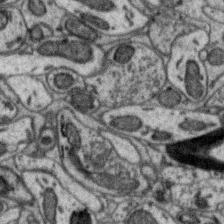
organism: Zebra finch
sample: Brain